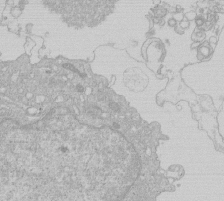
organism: Human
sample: Macrophage cells